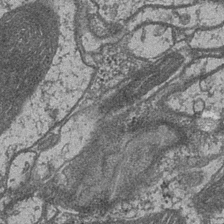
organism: Drosophila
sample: Optic medulla